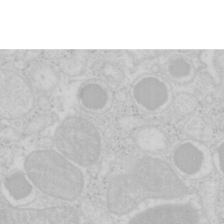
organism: Mouse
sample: Pancreas